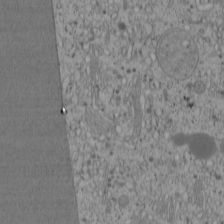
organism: African green monkey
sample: COS-7 cells